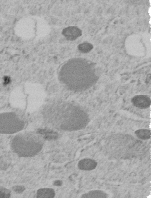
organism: C. elegans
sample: C. elegans embryo early stage